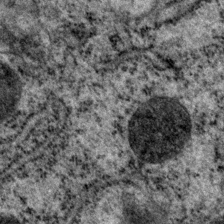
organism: P. pacificus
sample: Pharynx